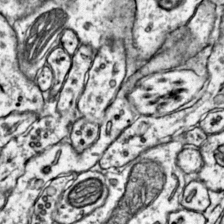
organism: Mouse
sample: Primary visual cortex